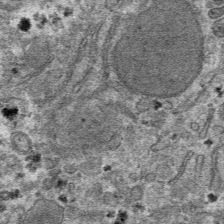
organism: Mouse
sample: Mouse hepatocytes